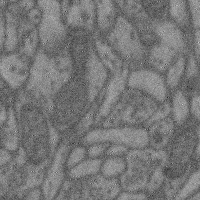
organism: Mouse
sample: Cerebral cortex